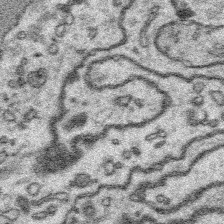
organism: Platynereis dumerilii